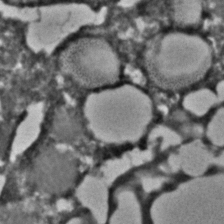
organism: C. elegans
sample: C. elegans embryo